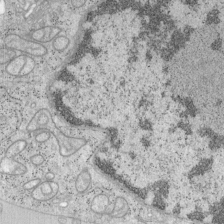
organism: Mouse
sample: OT-I killer T cells with ID8 ovarian cancer cells